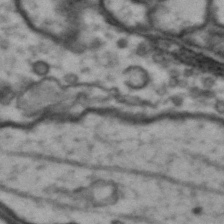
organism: Drosophila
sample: Brain